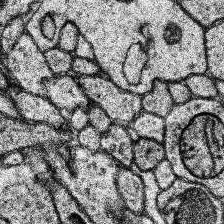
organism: Human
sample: Temporal Lobe